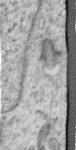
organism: Human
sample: Centriole in RPE cells